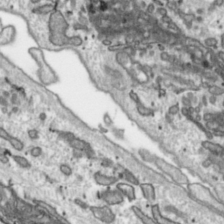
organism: Toxoplasma gondii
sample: Parasites in a vacuole inside a host cell